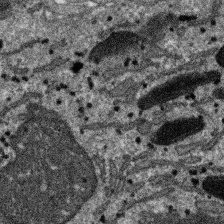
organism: Human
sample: Lung epithelial cells infected with SARS-CoV-2